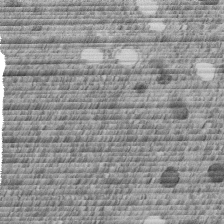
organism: C. elegans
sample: C. elegans embryo early stage